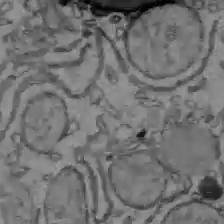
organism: C57BL Mouse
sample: Liver